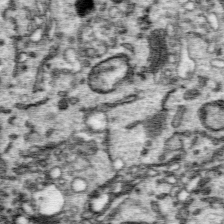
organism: Human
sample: HeLa cells